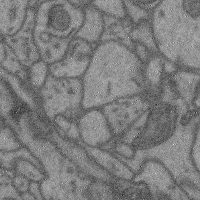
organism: Mouse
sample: Cerebral cortex